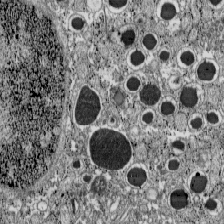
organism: C57BL Mouse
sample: Pancreatic islet